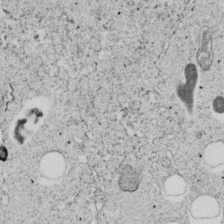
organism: C. elegans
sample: C. elegans embryo early stage